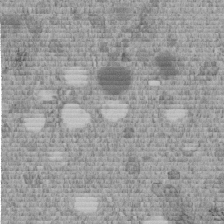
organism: C. elegans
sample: C. elegans embryo early stage